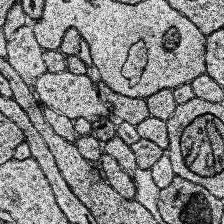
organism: Human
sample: Temporal Lobe